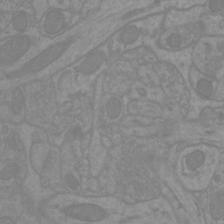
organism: Mouse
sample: Cortical neurons